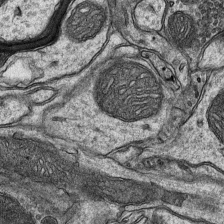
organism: Mouse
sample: CA1 Hippocampus